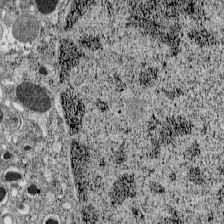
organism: C57BL Mouse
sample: Pancreatic islet